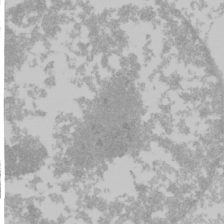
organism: Mouse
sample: Cancer cell death in ED-1 cells